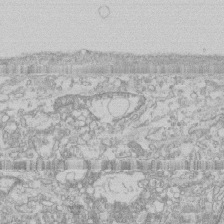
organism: Human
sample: CRL-1474